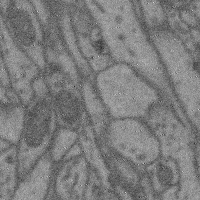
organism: Mouse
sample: Cerebral cortex